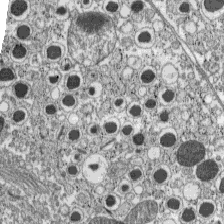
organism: C57BL Mouse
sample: Pancreatic islet